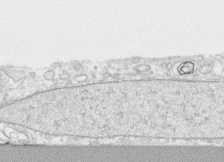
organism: Human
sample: CRL-1474